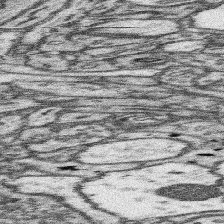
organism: Mouse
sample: Somatosensory cortex neuropil